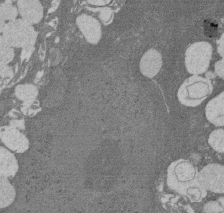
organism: Rat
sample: Salivary granule